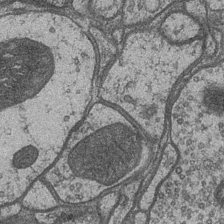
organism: Drosophila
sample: Optic medulla